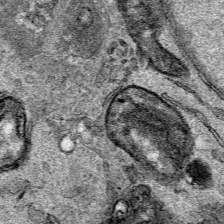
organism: Human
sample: Mitochondria in HCT116 cells